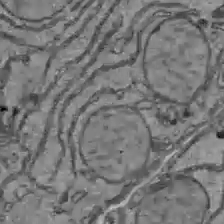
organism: C57BL Mouse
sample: Liver